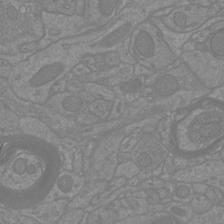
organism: Mouse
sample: Cortical neurons